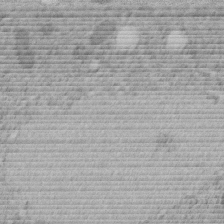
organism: C. elegans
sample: C. elegans embryo early stage